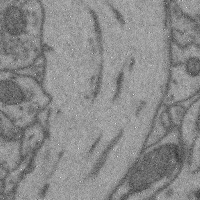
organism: Mouse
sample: Cerebral cortex